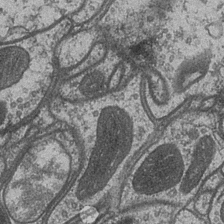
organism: Drosophila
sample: Optic medulla